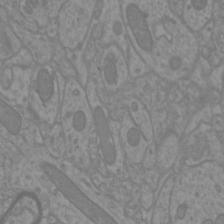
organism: Mouse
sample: Cortical neurons